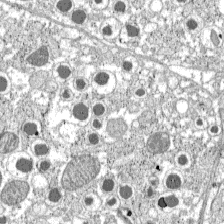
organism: C57BL Mouse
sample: Pancreatic islet